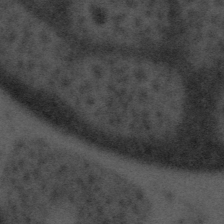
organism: Tuwongella immobilis